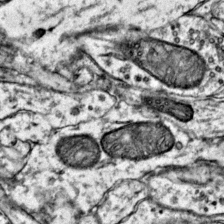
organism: Mouse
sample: Primary visual cortex